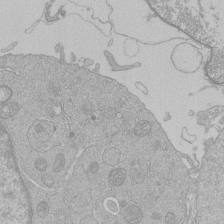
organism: Human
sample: Macrophage cells